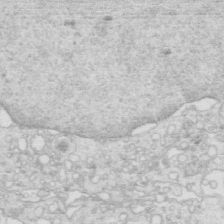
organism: Mouse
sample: Multiciliated cells